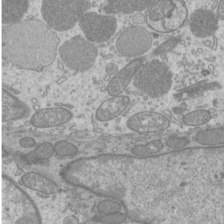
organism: Mouse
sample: Cilia; mouse epididymis